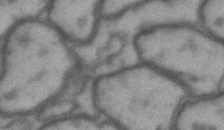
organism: Drosophila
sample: Brain